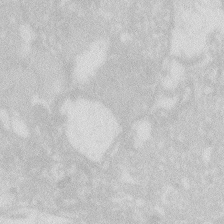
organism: Zebrafish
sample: Macrophage